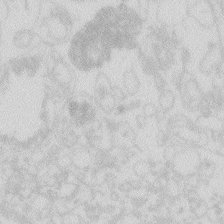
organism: Zebrafish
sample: Macrophage